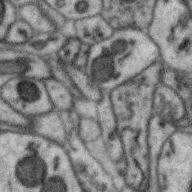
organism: Zebra finch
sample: Brain